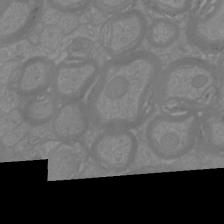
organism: Mouse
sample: Cortical neurons